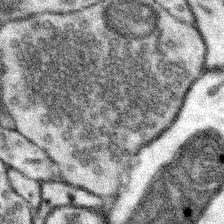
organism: Mouse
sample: Somatosensory cortex neuropil